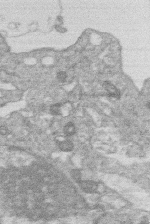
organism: Human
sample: Macrophage cells